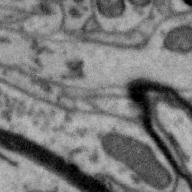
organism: Zebra finch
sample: Brain